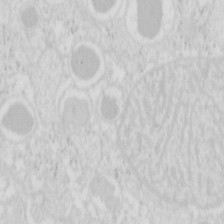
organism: Mouse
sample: Pancreas